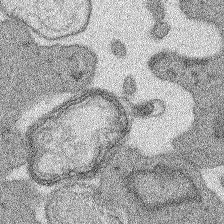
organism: Human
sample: HeLa cells